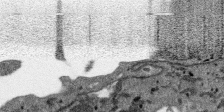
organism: Human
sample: Lung epithelial cells, uninfected (mock) control